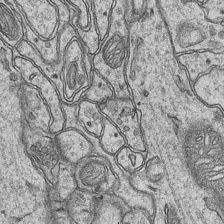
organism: Mouse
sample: CA1 Hippocampus